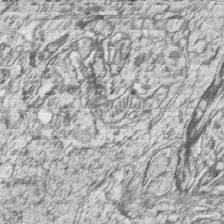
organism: Zebrafish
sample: synaptic ribbons in rod cells and cone cells